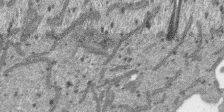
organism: Human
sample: Lung epithelial cells infected with SARS-CoV-2